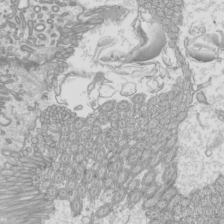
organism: Mouse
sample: Cilia; mouse epididymis